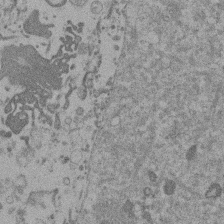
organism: Mouse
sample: Dividing mouse embryo 1 cell stage